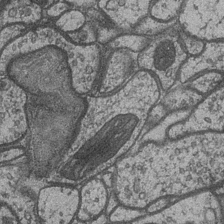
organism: Drosophila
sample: Optic medulla